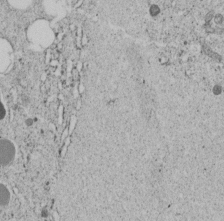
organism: C. elegans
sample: C. elegans embryo early stage